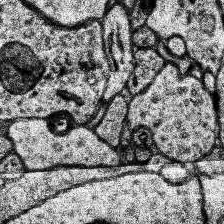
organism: Human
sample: Temporal Lobe